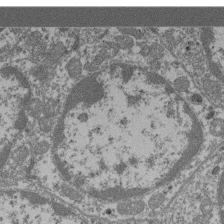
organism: Mouse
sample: Glomerulus